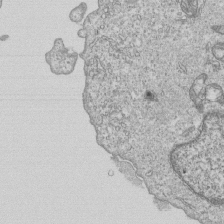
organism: Human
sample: MDA-MB-231 cells